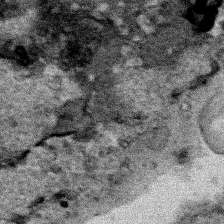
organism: Human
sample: Mitochondria in HCT116 cells